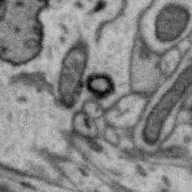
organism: Zebra finch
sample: Brain